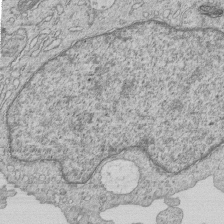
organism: Human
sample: MDA-MB-231 cells